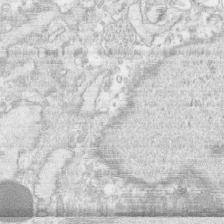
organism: Human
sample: CRL-1474